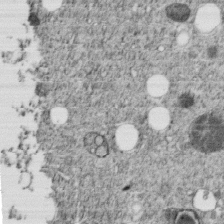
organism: C. elegans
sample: C. elegans embryo early stage